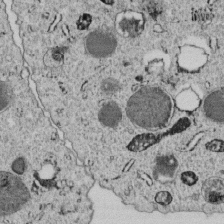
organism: C. elegans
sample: C. elegans embryo early stage